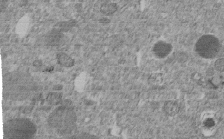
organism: C. elegans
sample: C. elegans embryo early stage